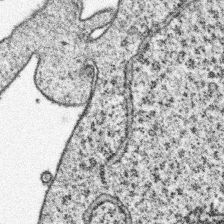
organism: Human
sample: HeLa cells